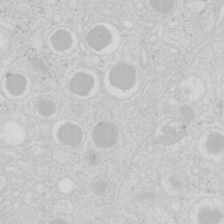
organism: Mouse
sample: Pancreas